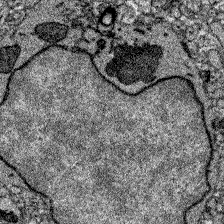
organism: Zebrafish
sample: Larval olfactory bulb